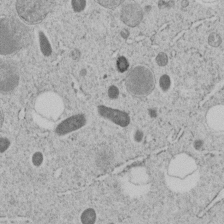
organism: C. elegans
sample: C. elegans embryo early stage